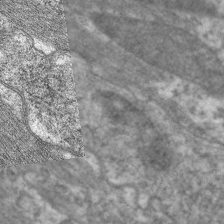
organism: C. elegans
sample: Pharynx